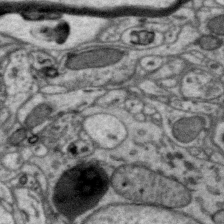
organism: Zebra finch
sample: Brain